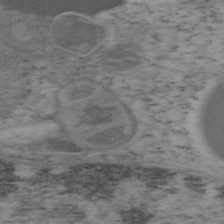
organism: Mouse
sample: OT-I killer T cells with ID8 ovarian cancer cells